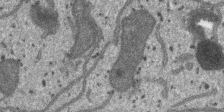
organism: Human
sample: Lung epithelial cells infected with SARS-CoV-2